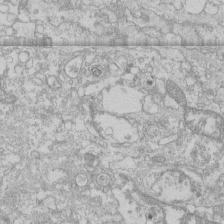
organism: Human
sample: CRL-1474